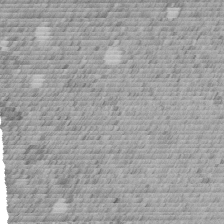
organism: C. elegans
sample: C. elegans embryo early stage